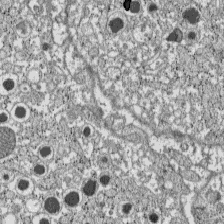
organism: C57BL Mouse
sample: Pancreatic islet